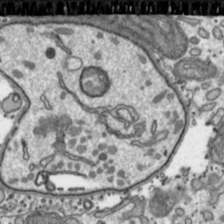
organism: Toxoplasma gondii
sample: Parasites in a vacuole inside a host cell